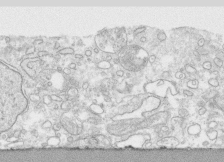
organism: Human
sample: CRL-1474